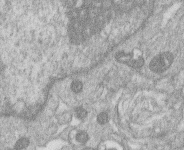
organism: Human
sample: Macrophage cells